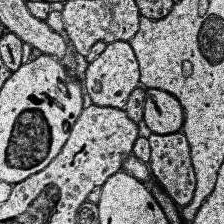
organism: Human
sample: Temporal Lobe